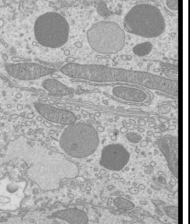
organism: Mouse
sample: Cilia; mouse epididymis